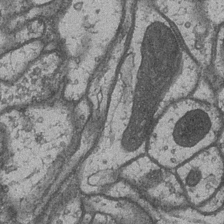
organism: Drosophila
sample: Optic medulla